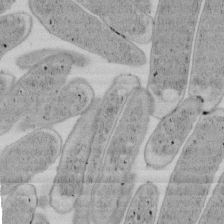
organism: E. coli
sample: Bacterial nucleoid